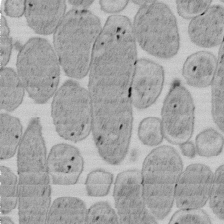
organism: E. coli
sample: Bacterial nucleoid